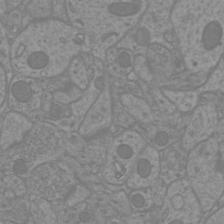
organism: Mouse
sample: Cortical neurons